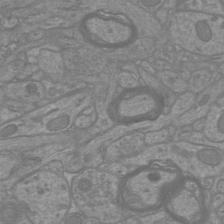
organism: Mouse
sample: Cortical neurons